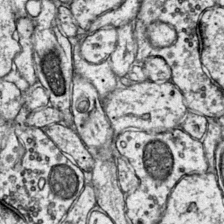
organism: Mouse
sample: Primary visual cortex